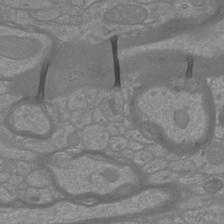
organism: Mouse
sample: Cortical neurons